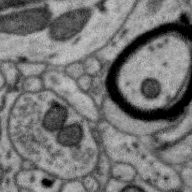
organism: Zebra finch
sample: Brain